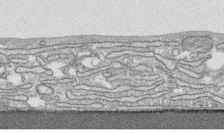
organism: Human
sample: CRL-1474